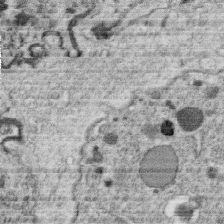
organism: C. elegans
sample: C. elegans oocyte; sperm cells